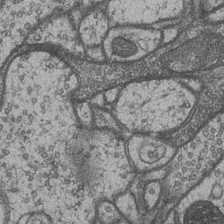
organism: Drosophila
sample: Optic medulla